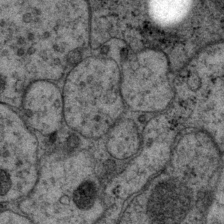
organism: P. pacificus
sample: Pharynx